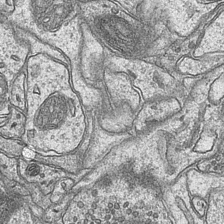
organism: Mouse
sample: CA1 Hippocampus